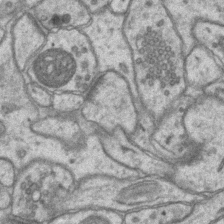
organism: Mouse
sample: CA1 Hippocampus